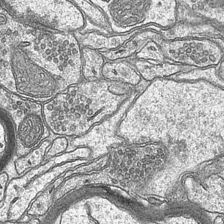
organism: Mouse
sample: CA1 Hippocampus